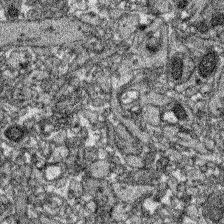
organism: Zebrafish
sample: Larval olfactory bulb